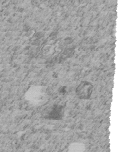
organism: C. elegans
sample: C. elegans embryo early stage